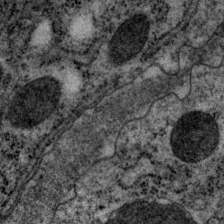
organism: P. pacificus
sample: Pharynx